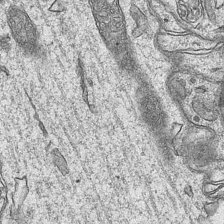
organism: Mouse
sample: CA1 Hippocampus